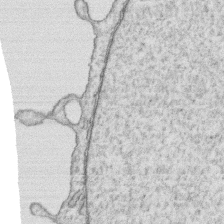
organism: Human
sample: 1205lu cells